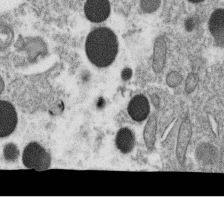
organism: C. elegans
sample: C. elegans oocyte; sperm cells